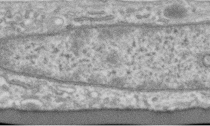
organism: Human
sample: Centriole in RPE cells